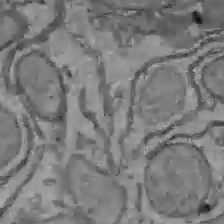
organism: C57BL Mouse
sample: Liver